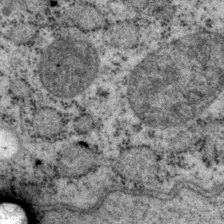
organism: P. pacificus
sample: Pharynx